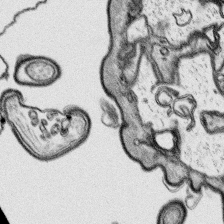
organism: Platynereis dumerilii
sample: Parapodia